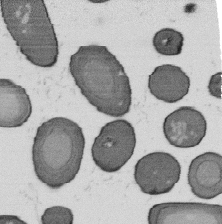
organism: B. subtilis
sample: Bacterial spore